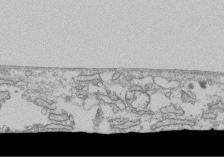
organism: Human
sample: Fibroblast cells